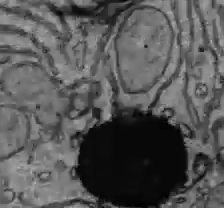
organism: C57BL Mouse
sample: Liver